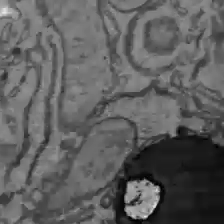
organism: C57BL Mouse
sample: Liver